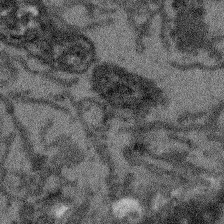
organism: Arabidopsis thaliana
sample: Root tip